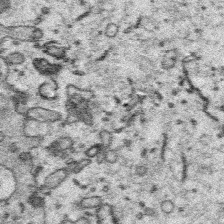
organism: Platynereis dumerilii